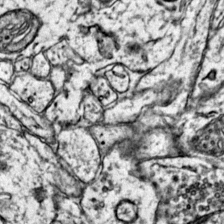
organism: Mouse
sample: Primary visual cortex